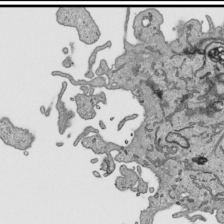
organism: Human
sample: Mitochondria in HCT116 cells